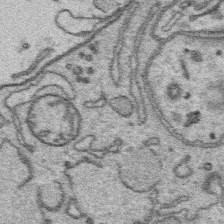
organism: Platynereis dumerilii